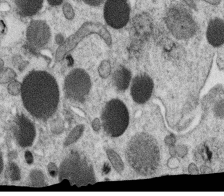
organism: C. elegans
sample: C. elegans oocyte; sperm cells